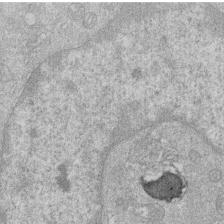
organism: Human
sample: Macrophage cells